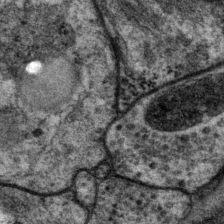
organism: P. pacificus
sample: Pharynx